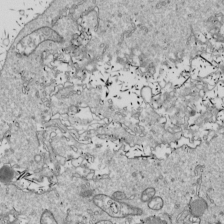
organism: Drosophila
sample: Cell division; meiosis; drosophila spermatocytes